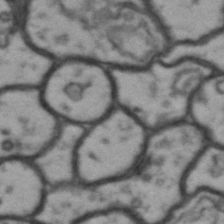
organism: Drosophila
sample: Brain